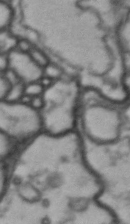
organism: Drosophila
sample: Brain